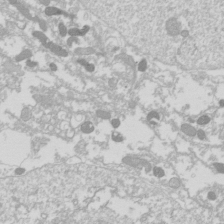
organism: Drosophila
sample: Cell division; meiosis; drosophila spermatocytes